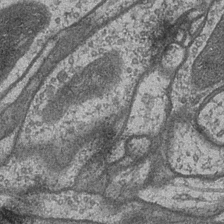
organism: Drosophila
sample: Optic medulla